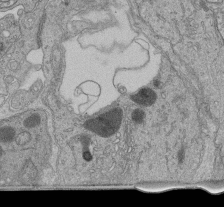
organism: Human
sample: Retinal organoid Rod and Cone cells